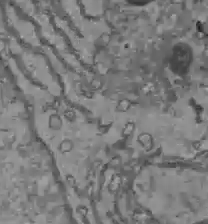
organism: C57BL Mouse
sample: Liver